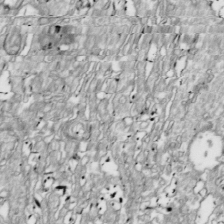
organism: Drosophila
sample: Cell division; meiosis; drosophila spermatocytes